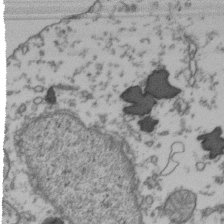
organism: Human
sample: Activated Jurkat CD4+ T cells